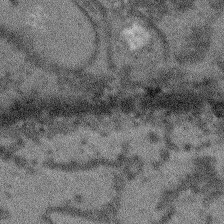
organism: Arabidopsis thaliana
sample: Root tip